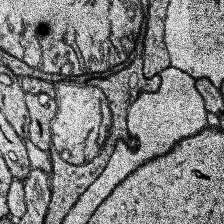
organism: Human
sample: Temporal Lobe